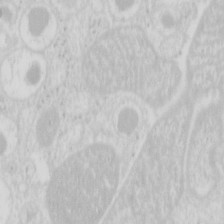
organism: Mouse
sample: Pancreas